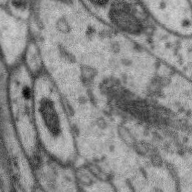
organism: Zebra finch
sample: Brain